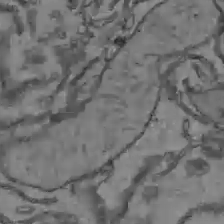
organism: C57BL Mouse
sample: Liver